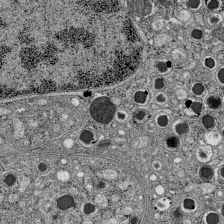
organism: C57BL Mouse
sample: Pancreatic islet